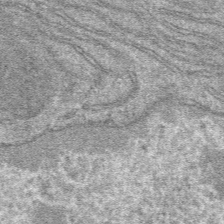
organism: Mouse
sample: Mouse hepatocytes